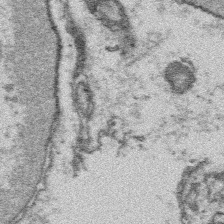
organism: Platynereis dumerilii